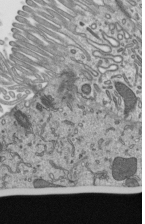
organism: Mouse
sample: Mouse epididymis efferent ductule cilia